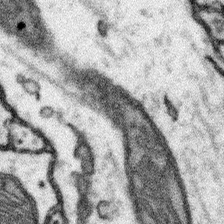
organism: Mouse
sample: Somatosensory cortex neuropil